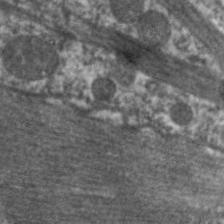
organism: C. elegans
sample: Pharynx